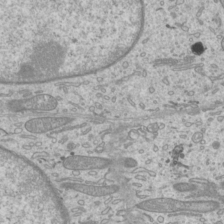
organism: Mouse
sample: Cilia; mouse epididymis